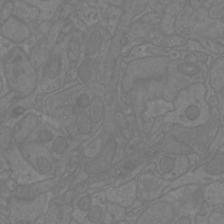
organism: Mouse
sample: Cortical neurons